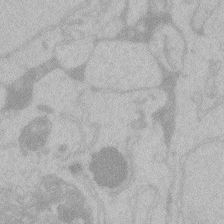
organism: Zebrafish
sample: Macrophage infected with Toxoplasma gondii